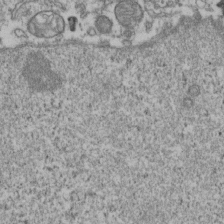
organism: Human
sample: Activated Jurkat CD4+ T cells